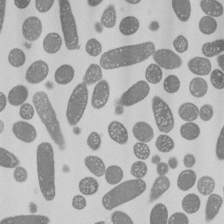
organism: E. coli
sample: Bacterial nucleoid